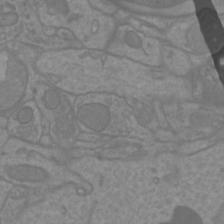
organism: Mouse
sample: Cortical neurons